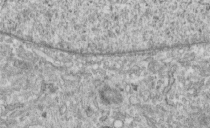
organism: Human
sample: Centriole in fibroblast cells